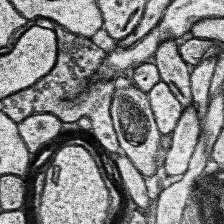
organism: Human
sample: Temporal Lobe